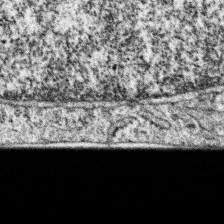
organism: Human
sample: HeLa cells